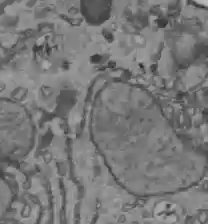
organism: C57BL Mouse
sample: Liver